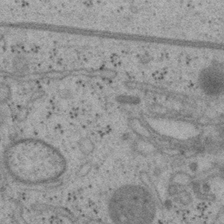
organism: Human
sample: HeLa cells